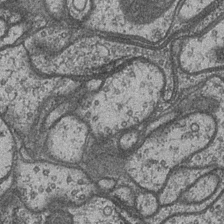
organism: Drosophila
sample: Optic medulla